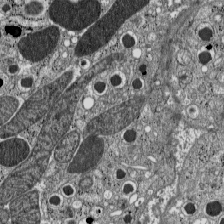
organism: C57BL Mouse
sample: Pancreatic islet